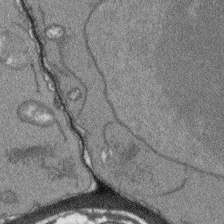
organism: Arabidopsis thaliana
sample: Root tip